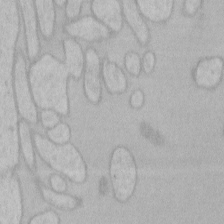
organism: Human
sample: HeLa cells